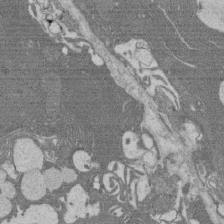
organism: Rat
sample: Salivary granule